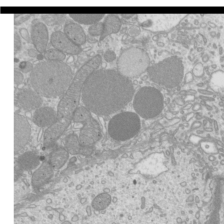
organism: Mouse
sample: Cilia; mouse epididymis